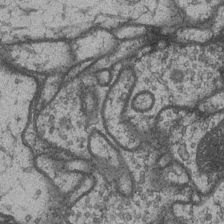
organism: Drosophila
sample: Optic medulla